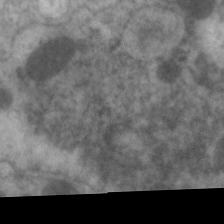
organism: C. elegans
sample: Pharynx